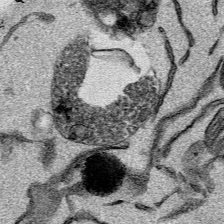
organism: Mouse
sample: Cancer cell death in ED-1 cells